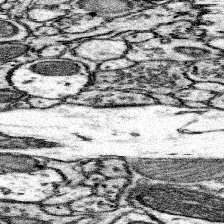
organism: Mouse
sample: Somatosensory cortex neuropil